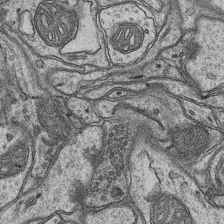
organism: Mouse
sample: CA1 Hippocampus